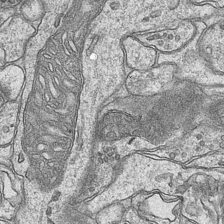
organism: Mouse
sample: CA1 Hippocampus